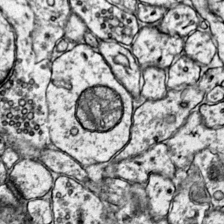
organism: Mouse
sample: Primary visual cortex